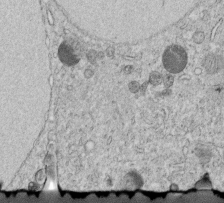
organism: C. elegans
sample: C. elegans embryo early stage